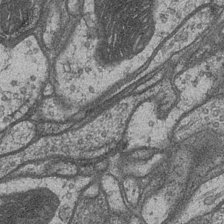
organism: Drosophila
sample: Optic medulla